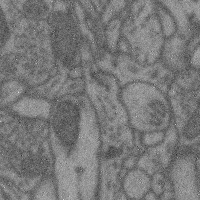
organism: Mouse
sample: Cerebral cortex